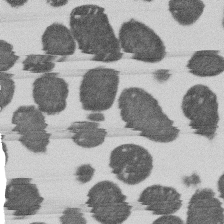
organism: E. coli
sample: Bacterial nucleoid